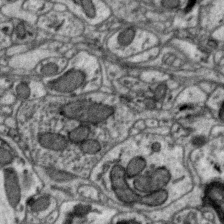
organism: Zebra finch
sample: Brain